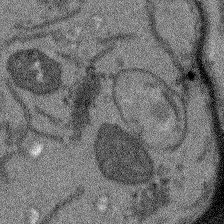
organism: Arabidopsis thaliana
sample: Root tip